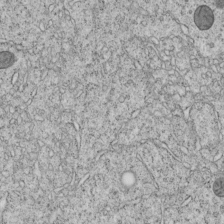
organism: C. elegans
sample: C. elegans embryo early stage